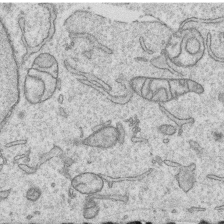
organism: Human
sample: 1205lu cells